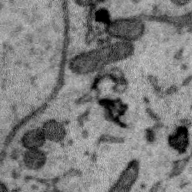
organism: Zebra finch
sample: Brain